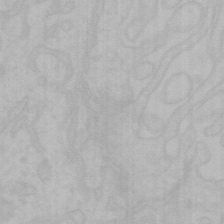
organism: Mouse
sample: Choroid plexus